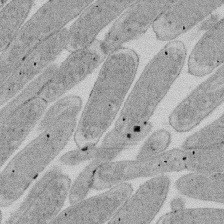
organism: E. coli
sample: Bacterial nucleoid